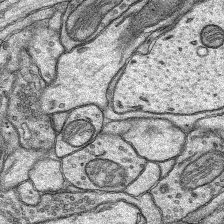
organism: Rat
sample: Hippocampus